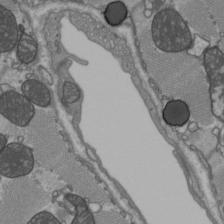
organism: C57BL Mouse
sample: Heart